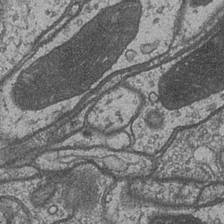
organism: Drosophila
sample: Optic medulla